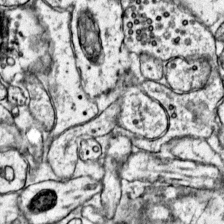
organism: Mouse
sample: Primary visual cortex